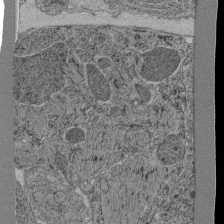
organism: C. elegans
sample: C. elegans pharynx